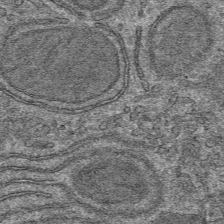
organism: Mouse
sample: Mouse hepatocytes